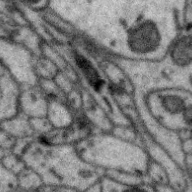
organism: Zebra finch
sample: Brain